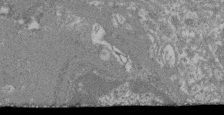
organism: Mouse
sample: Glomerulus